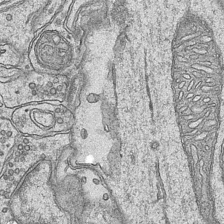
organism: Mouse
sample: CA1 Hippocampus